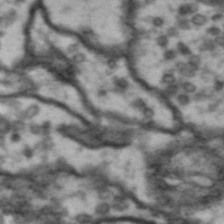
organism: Drosophila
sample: Brain